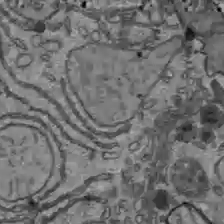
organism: C57BL Mouse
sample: Liver